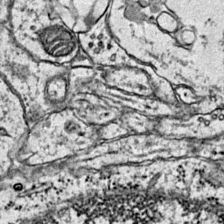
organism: Mouse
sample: Primary visual cortex